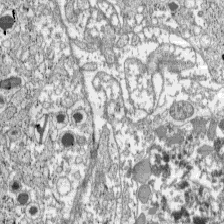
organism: C57BL Mouse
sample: Pancreatic islet